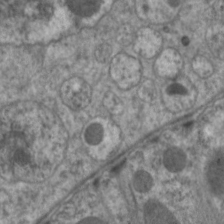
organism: C. elegans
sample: Pharynx